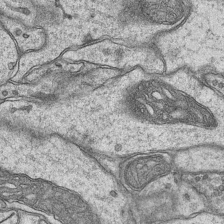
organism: Mouse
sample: CA1 Hippocampus